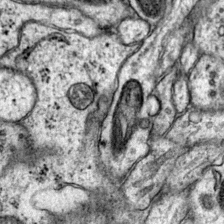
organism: Mouse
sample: Primary visual cortex